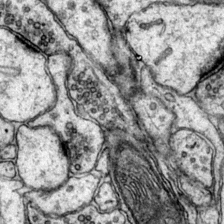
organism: Mouse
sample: Primary visual cortex